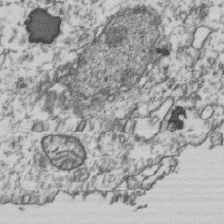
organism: Human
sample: Activated Jurkat CD4+ T cells